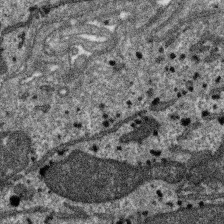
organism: Human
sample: Lung epithelial cells infected with SARS-CoV-2